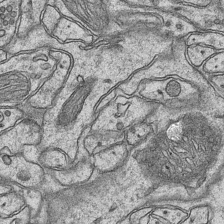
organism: Mouse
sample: CA1 Hippocampus